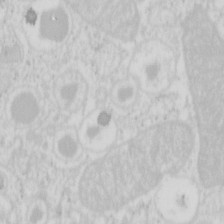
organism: Mouse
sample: Pancreas